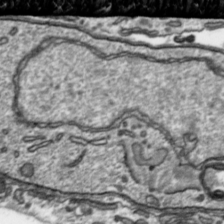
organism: Toxoplasma gondii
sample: Parasites in a vacuole inside a host cell